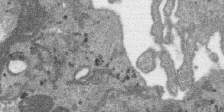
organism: Human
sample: Lung epithelial cells infected with SARS-CoV-2